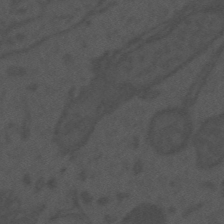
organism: Mouse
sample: Suprachiasmatic nucleus